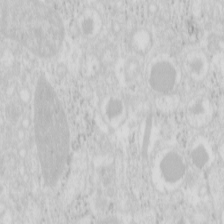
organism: Mouse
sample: Pancreas